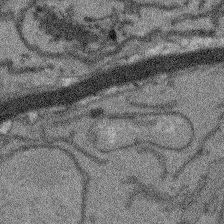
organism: Arabidopsis thaliana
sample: Root tip